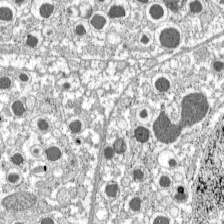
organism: C57BL Mouse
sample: Pancreatic islet